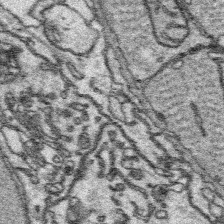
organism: Platynereis dumerilii